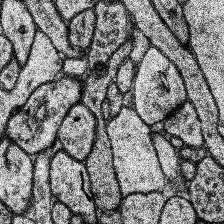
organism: Human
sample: Temporal Lobe